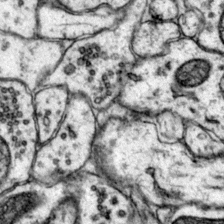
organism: Mouse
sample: Primary visual cortex